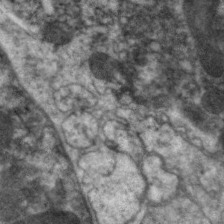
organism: C. elegans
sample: Pharynx